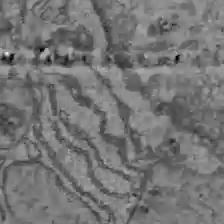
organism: C57BL Mouse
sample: Liver